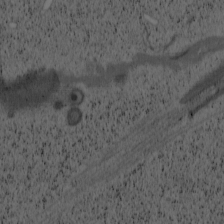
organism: African green monkey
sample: COS-7 cells